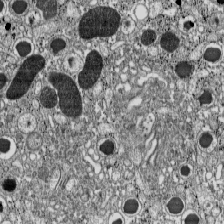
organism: C57BL Mouse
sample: Pancreatic islet